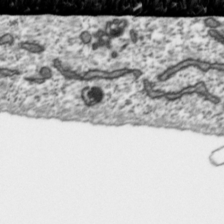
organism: Toxoplasma gondii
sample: Parasites in a vacuole inside a host cell